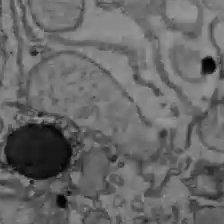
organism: C57BL Mouse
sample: Liver